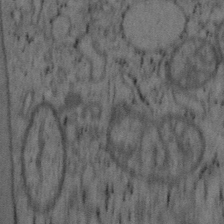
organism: Human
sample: HeLa cells